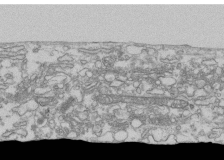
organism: Human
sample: Fibroblast cells